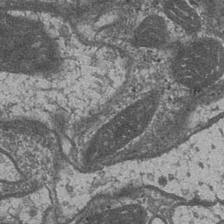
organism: Drosophila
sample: Optic medulla